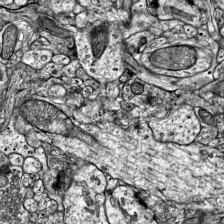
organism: Mouse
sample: Visual Cortex